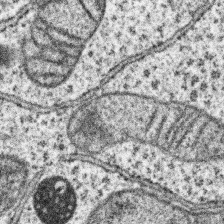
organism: Human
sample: HeLa cells